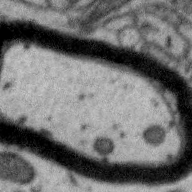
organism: Zebra finch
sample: Brain